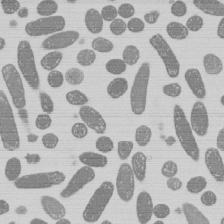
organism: E. coli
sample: Bacterial nucleoid